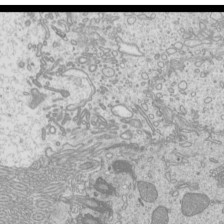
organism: Mouse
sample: Cilia; mouse epididymis